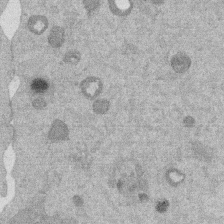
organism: Mouse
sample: Dividing mouse embryo 1 cell stage